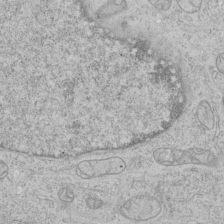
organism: Human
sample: Mitochondria in HCT116 cells